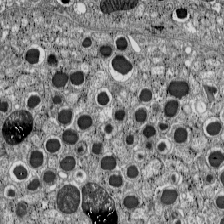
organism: C57BL Mouse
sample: Pancreatic islet